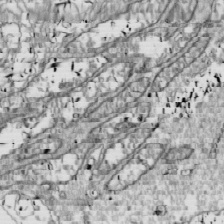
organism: Drosophila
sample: Cell division; meiosis; drosophila spermatocytes